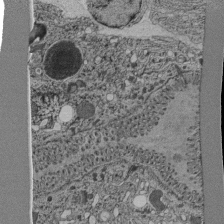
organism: C. elegans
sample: C. elegans pharynx